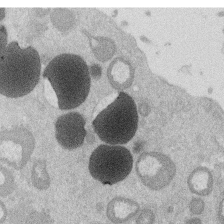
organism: Mouse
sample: Dividing mouse embryo 1 cell stage